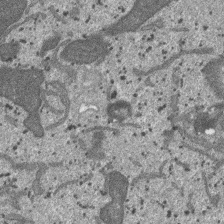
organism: Human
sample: Lung epithelial cells infected with SARS-CoV-2